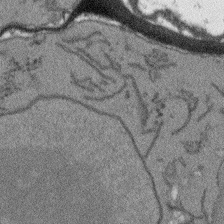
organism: Arabidopsis thaliana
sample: Root tip